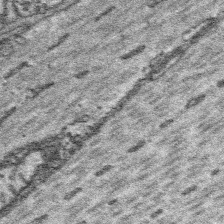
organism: Platynereis dumerilii